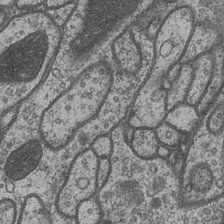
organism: Drosophila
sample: Optic medulla